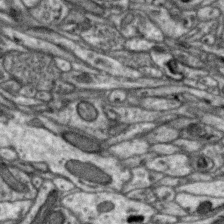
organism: Zebra finch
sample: Brain